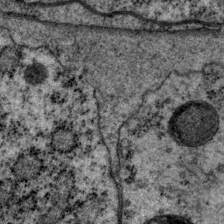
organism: P. pacificus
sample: Pharynx